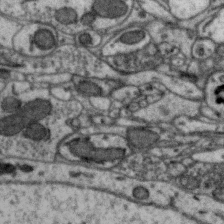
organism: Zebra finch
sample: Brain